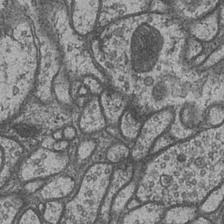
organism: Drosophila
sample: Optic medulla